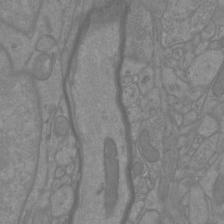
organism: Mouse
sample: Cortical neurons